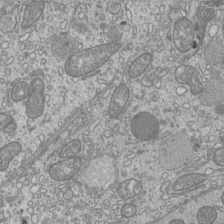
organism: Mouse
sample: Cilia; mouse epididymis